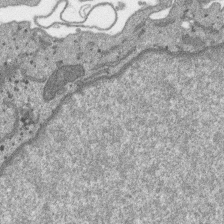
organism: Human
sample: Lung epithelial cells infected with SARS-CoV-2